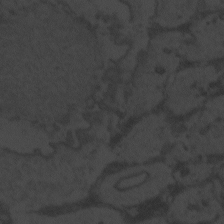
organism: Zebrafish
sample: Macrophage infected with Toxoplasma gondii